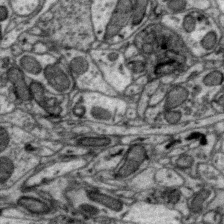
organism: Zebra finch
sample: Brain